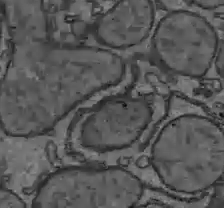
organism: C57BL Mouse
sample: Liver